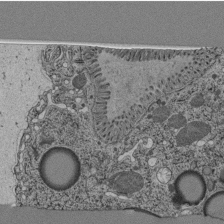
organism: C. elegans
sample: C. elegans pharynx